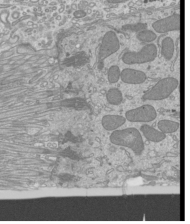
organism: Mouse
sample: Cilia; mouse epididymis